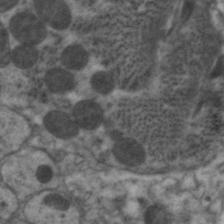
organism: C. elegans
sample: Pharynx